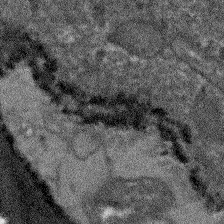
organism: Arabidopsis thaliana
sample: Root tip